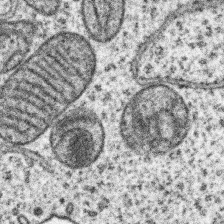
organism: Human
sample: HeLa cells